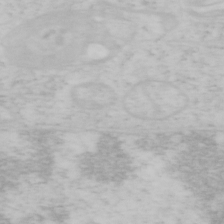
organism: Mouse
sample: OT-I killer T cells with ID8 ovarian cancer cells